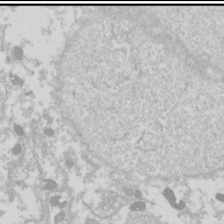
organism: Drosophila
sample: Cell division; meiosis; drosophila spermatocytes